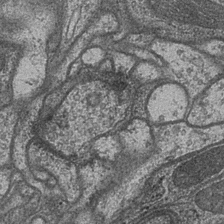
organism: Drosophila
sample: Optic medulla